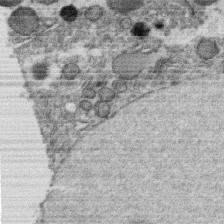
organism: C. elegans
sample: C. elegans oocyte; sperm cells